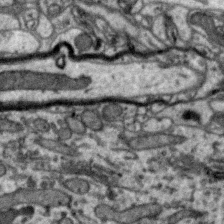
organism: Zebra finch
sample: Brain